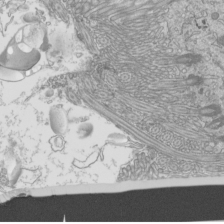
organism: Mouse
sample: Cilia; mouse epididymis